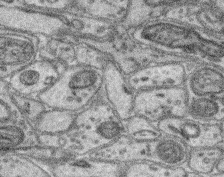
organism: Mouse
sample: Retina